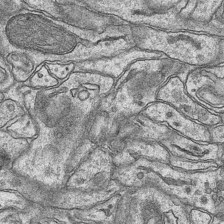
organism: Mouse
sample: CA1 Hippocampus